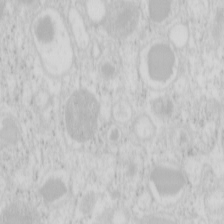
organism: Mouse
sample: Pancreas